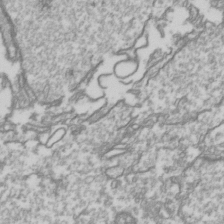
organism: Drosophila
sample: Cell division; meiosis; drosophila spermatocytes